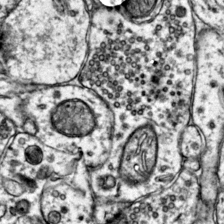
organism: Mouse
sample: Primary visual cortex